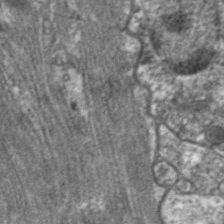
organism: C. elegans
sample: Pharynx